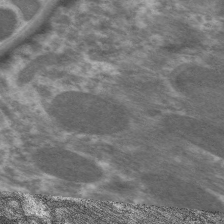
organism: C. elegans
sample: Pharynx